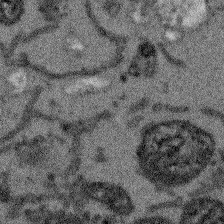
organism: Arabidopsis thaliana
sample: Root tip